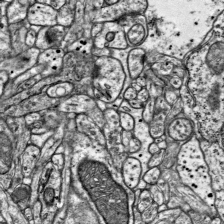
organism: Mouse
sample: Visual Cortex